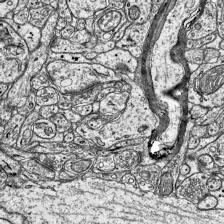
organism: Mouse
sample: Visual Cortex